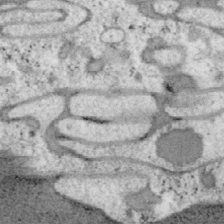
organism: Mouse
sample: OT-I killer T cells with ID8 ovarian cancer cells